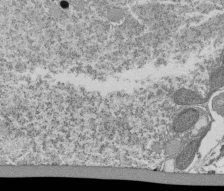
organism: Tetrahymena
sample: Cilia in tetrahymena